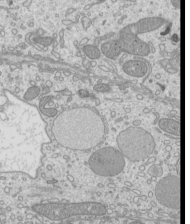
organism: Mouse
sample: Cilia; mouse epididymis